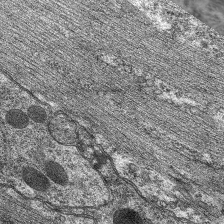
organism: C. elegans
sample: Pharynx